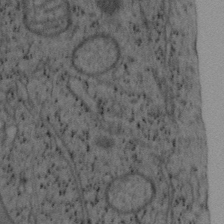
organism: Human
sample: HeLa cells